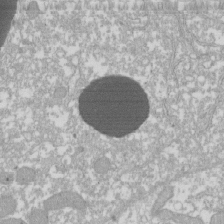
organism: Xenopus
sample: Cilia; centrioles in frog embryo cells